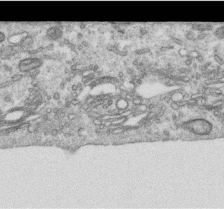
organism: Human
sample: Centriole in RPE cells